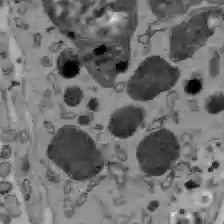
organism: C57BL Mouse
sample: Liver